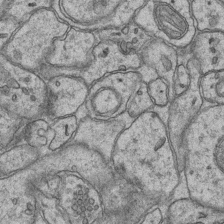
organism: Mouse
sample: CA1 Hippocampus